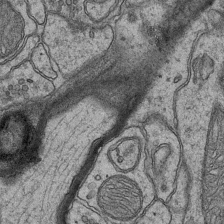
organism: Mouse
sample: CA1 Hippocampus